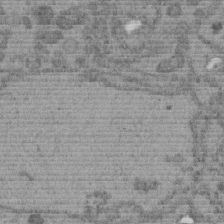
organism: C. elegans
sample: C. elegans embryo early stage